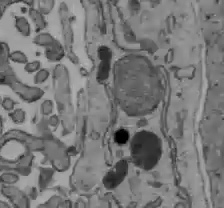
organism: C57BL Mouse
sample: Liver